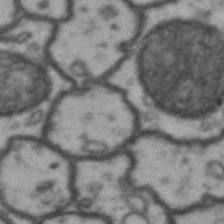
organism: Drosophila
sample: Brain